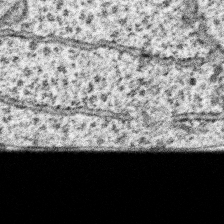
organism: Human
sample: HeLa cells